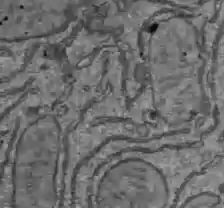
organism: C57BL Mouse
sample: Liver